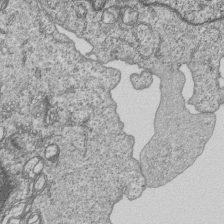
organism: Human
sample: MDA-MB-231 cells